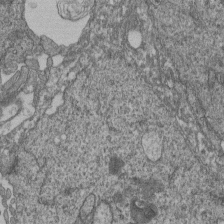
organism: Human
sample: Retinal organoid Rod and Cone cells